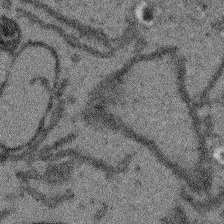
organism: Arabidopsis thaliana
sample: Root tip